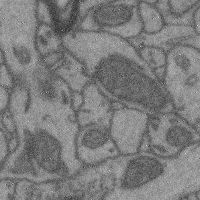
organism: Mouse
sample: Cerebral cortex